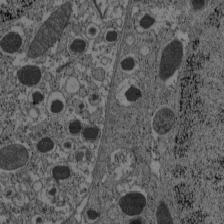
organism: C57BL Mouse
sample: Pancreatic islet